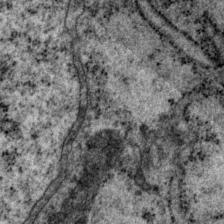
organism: P. pacificus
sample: Pharynx